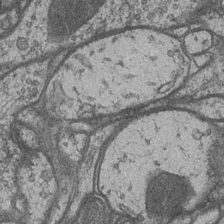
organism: Drosophila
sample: Optic medulla